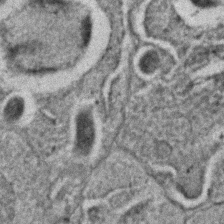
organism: C. elegans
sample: C. elegans embryo